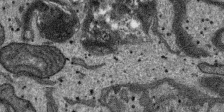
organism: Human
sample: Lung epithelial cells, uninfected (mock) control